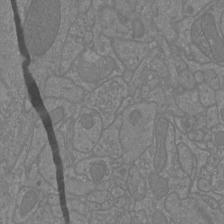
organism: Mouse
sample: Cortical neurons